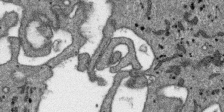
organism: Human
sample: Lung epithelial cells, uninfected (mock) control